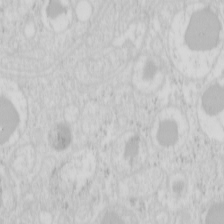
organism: Mouse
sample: Pancreas